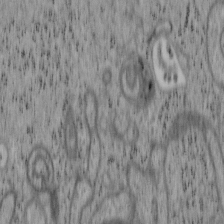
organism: Human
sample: HeLa cells